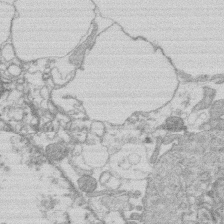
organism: Human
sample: Macrophage cells